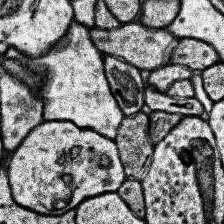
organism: Human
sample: Temporal Lobe